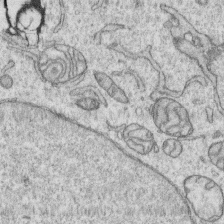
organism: Human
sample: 1205lu cells